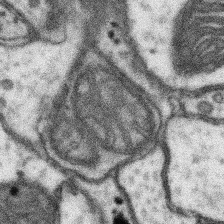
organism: Mouse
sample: Somatosensory cortex neuropil